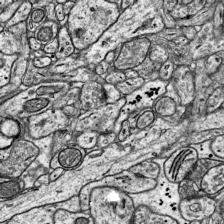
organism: Mouse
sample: Visual Cortex